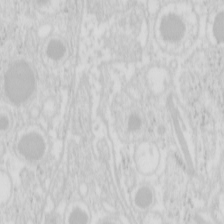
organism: Mouse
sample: Pancreas